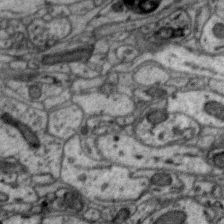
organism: Zebra finch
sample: Brain